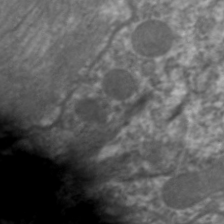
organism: C. elegans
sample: Pharynx